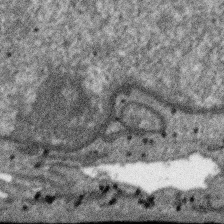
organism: Human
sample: Lung epithelial cells infected with SARS-CoV-2